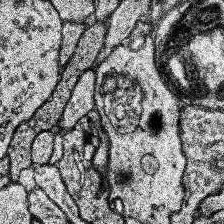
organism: Human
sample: Temporal Lobe